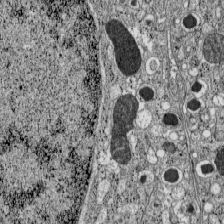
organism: C57BL Mouse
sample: Pancreatic islet